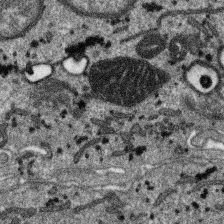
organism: Human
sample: Lung epithelial cells infected with SARS-CoV-2